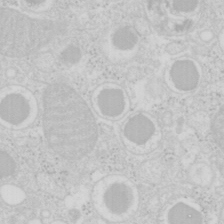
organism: Mouse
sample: Pancreas